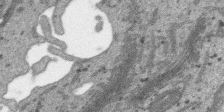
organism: Human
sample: Lung epithelial cells infected with SARS-CoV-2